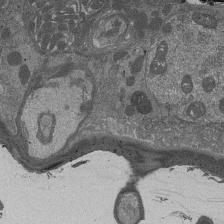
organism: Drosophila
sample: Antenna